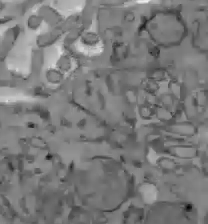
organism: C57BL Mouse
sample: Liver